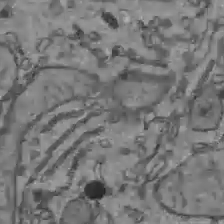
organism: C57BL Mouse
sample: Liver